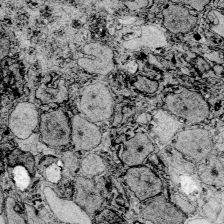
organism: Zebrafish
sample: Whole-Brain